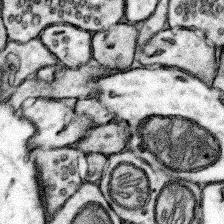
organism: Mouse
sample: Somatosensory cortex neuropil